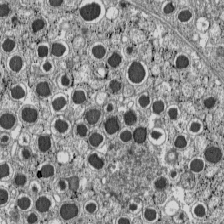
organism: C57BL Mouse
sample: Pancreatic islet